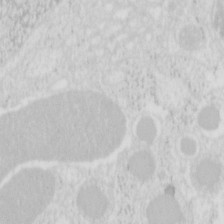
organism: Mouse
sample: Pancreas